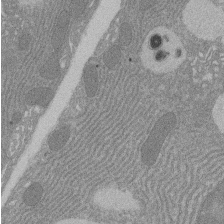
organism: Rat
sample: Salivary granule